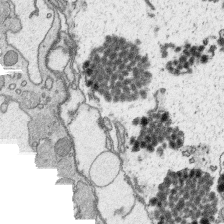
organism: Platynereis dumerilii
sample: Parapodia